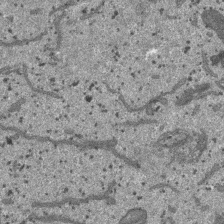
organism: Human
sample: Lung epithelial cells infected with SARS-CoV-2